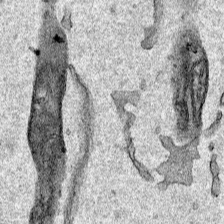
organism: Human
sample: Mitochondria in HCT116 cells